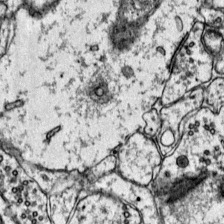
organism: Mouse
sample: Primary visual cortex